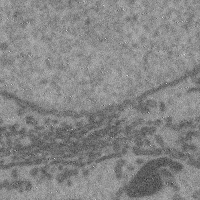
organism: Mouse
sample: Cerebral cortex